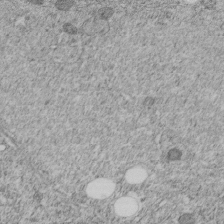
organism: C. elegans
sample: C. elegans embryo early stage